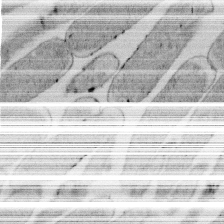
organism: E. coli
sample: Bacterial nucleoid